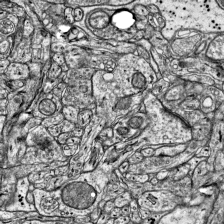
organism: Mouse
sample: Visual Cortex